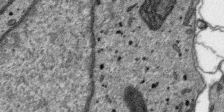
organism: Human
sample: Lung epithelial cells, uninfected (mock) control